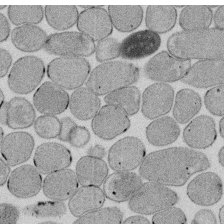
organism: E. coli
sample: Bacterial nucleoid